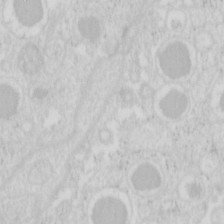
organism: Mouse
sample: Pancreas